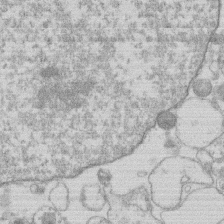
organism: Human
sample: Macrophage cells